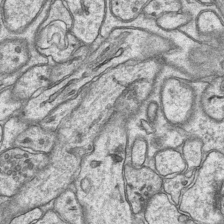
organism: Mouse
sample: CA1 Hippocampus